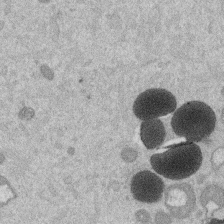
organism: Mouse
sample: Dividing mouse embryo 1 cell stage